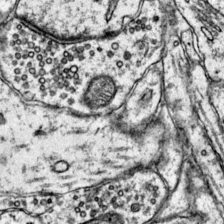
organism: Mouse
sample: Primary visual cortex